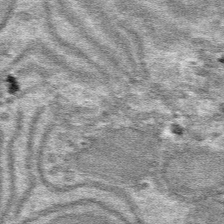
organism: Mouse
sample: Mouse hepatocytes